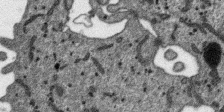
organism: Human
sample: Lung epithelial cells infected with SARS-CoV-2